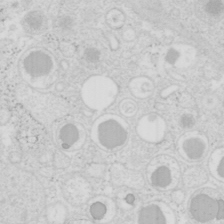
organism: Mouse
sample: Pancreas